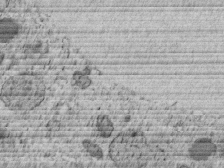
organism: C. elegans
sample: C. elegans embryo early stage